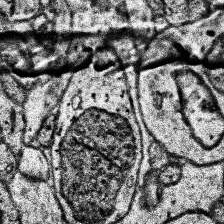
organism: Human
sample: Temporal Lobe